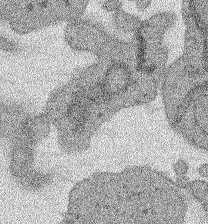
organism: Human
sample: HeLa cells